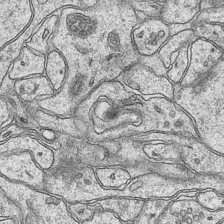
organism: Mouse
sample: CA1 Hippocampus